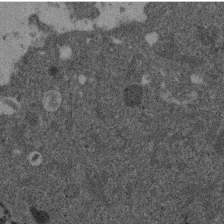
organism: Mouse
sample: Dividing mouse embryo 1 cell stage